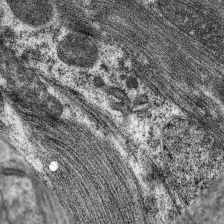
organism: C. elegans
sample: Pharynx